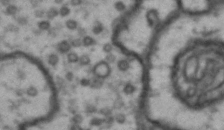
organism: Drosophila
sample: Brain